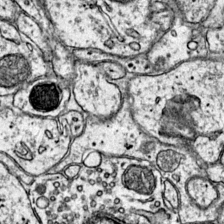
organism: Mouse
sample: Primary visual cortex